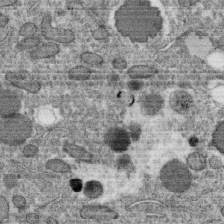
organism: C. elegans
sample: C. elegans oocyte; sperm cells